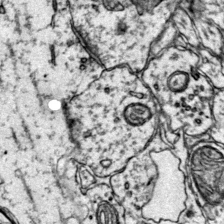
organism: Mouse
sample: Primary visual cortex